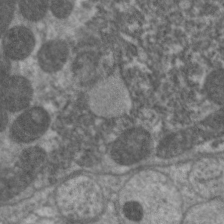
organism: C. elegans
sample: Pharynx